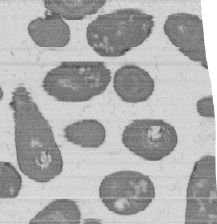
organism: B. subtilis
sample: Bacterial spore